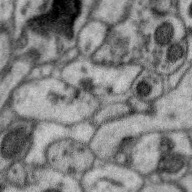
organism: Zebra finch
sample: Brain